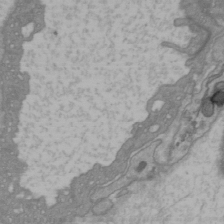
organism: C57BL Mouse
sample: Heart